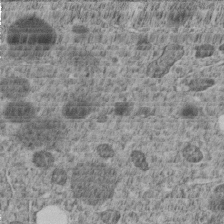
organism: C. elegans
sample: C. elegans embryo early stage